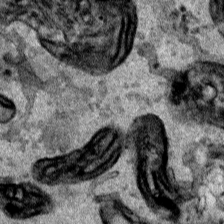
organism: Human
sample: Mitochondria in HCT116 cells